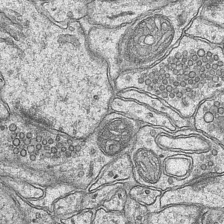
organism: Mouse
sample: CA1 Hippocampus